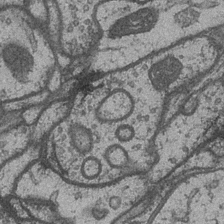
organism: Drosophila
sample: Optic medulla